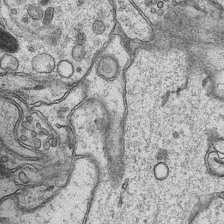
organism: Mouse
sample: CA1 Hippocampus